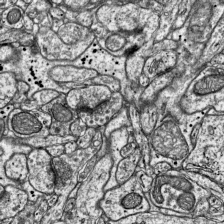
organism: Mouse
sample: Visual Cortex